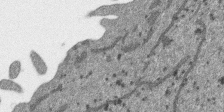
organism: Human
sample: Lung epithelial cells infected with SARS-CoV-2